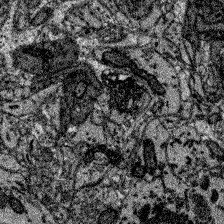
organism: Zebrafish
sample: Larval olfactory bulb